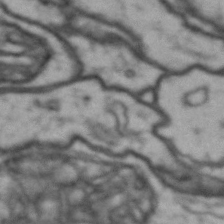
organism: Drosophila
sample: Brain